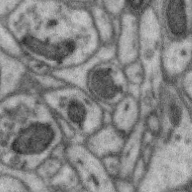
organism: Zebra finch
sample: Brain